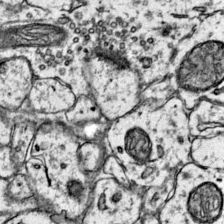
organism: Mouse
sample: Primary visual cortex